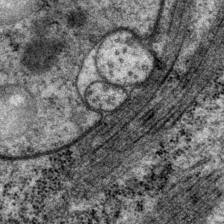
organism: P. pacificus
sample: Pharynx